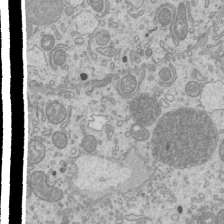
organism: Mouse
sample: Cilia; mouse epididymis